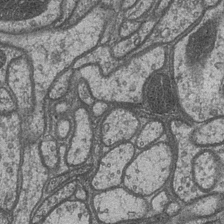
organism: Drosophila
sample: Optic medulla